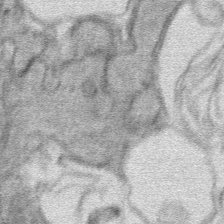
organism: Mouse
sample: Mouse hepatocytes